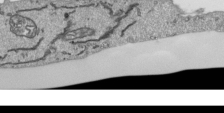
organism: Human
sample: Mitochondria in HCT116 cells